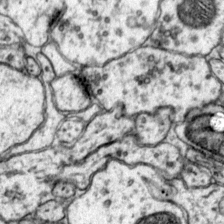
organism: Mouse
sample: Primary visual cortex